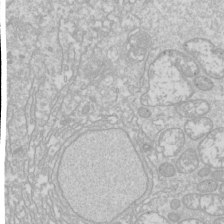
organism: Drosophila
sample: Cell division; meiosis; drosophila spermatocytes